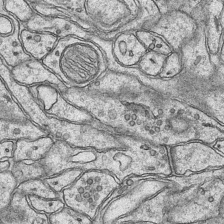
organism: Mouse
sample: CA1 Hippocampus